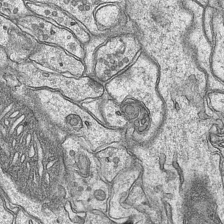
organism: Mouse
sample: CA1 Hippocampus